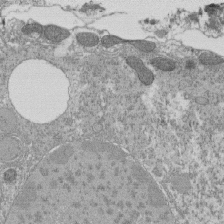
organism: Tetrahymena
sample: Cilia in tetrahymena